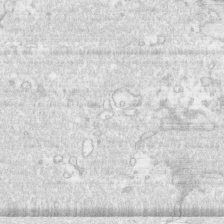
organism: Human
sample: CRL-1474